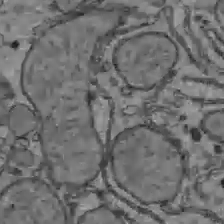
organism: C57BL Mouse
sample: Liver